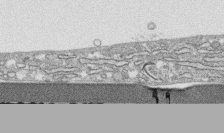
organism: Human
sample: CRL-1474